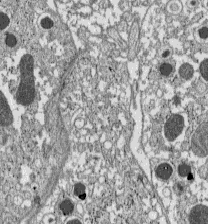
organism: C57BL Mouse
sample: Pancreatic islet